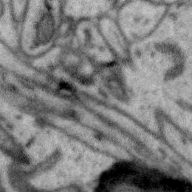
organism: Zebra finch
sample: Brain